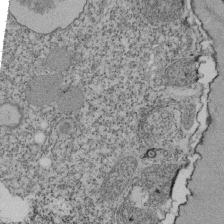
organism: Tetrahymena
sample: Cilia in tetrahymena